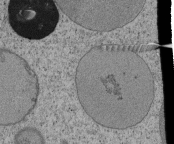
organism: Tetrahymena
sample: Cilia in tetrahymena